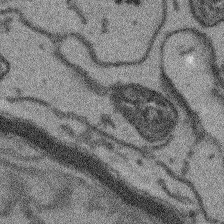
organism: Arabidopsis thaliana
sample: Root tip